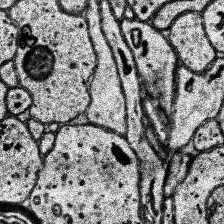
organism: Human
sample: Temporal Lobe